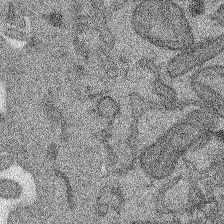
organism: Human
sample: HeLa cells